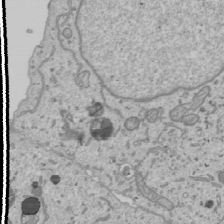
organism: Human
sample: Mitochondria in U2OS cells